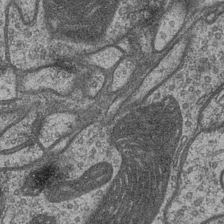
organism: Drosophila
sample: Optic medulla